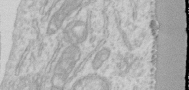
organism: Human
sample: Centriole in RPE cells